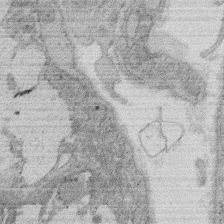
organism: Rat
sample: Salivary granule